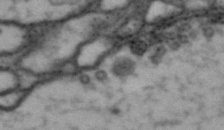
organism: Drosophila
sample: Brain